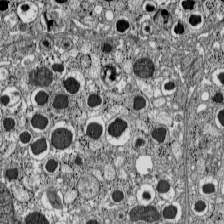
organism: C57BL Mouse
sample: Pancreatic islet